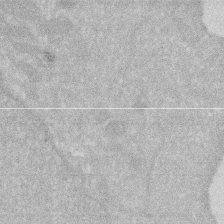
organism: Human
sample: HIV infected U937 cells